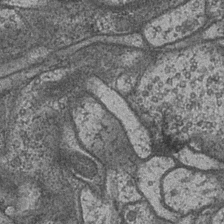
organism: Drosophila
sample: Optic medulla